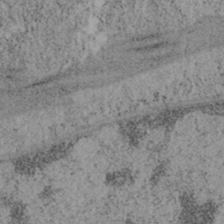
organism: Mouse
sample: OT-I killer T cells with ID8 ovarian cancer cells